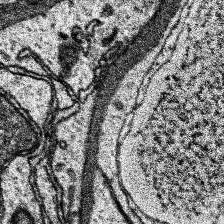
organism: Human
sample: Temporal Lobe